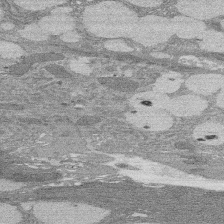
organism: Rat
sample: Salivary granule